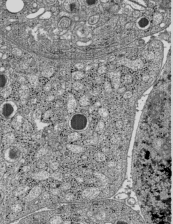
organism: C57BL Mouse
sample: Pancreatic islet